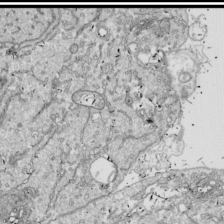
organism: Drosophila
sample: Cell division; meiosis; drosophila spermatocytes